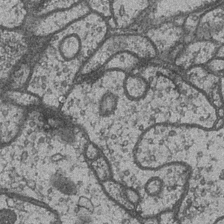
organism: Drosophila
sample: Optic medulla